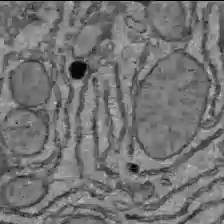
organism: C57BL Mouse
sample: Liver